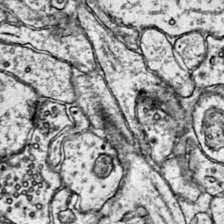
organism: Mouse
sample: Primary visual cortex